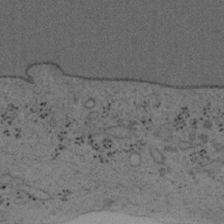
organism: Human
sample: HeLa cells